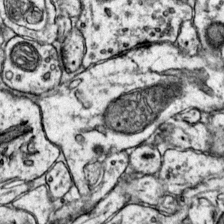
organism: Mouse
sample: Primary visual cortex